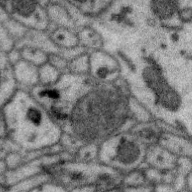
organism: Zebra finch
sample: Brain